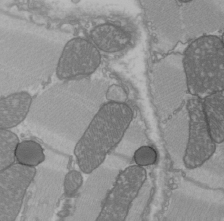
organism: C57BL Mouse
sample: Heart